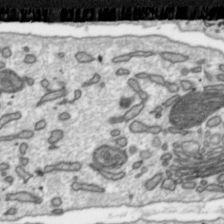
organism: Toxoplasma gondii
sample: Parasites in a vacuole inside a host cell